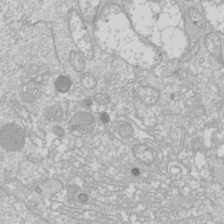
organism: Drosophila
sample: Cell division; meiosis; drosophila spermatocytes